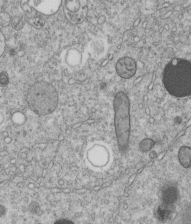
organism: C. elegans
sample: C. elegans embryo early stage